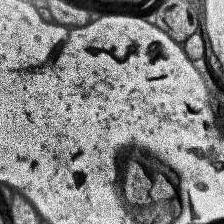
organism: Human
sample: Temporal Lobe